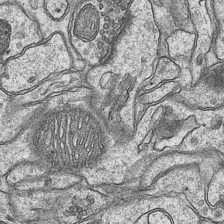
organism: Mouse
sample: CA1 Hippocampus